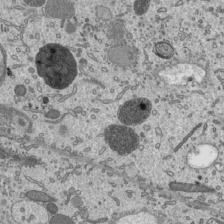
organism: Mouse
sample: Mouse epididymis efferent ductule cilia